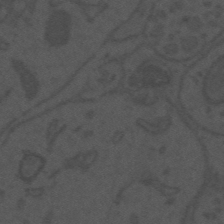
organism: Mouse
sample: Suprachiasmatic nucleus